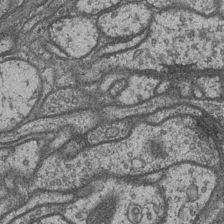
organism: Drosophila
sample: Optic medulla